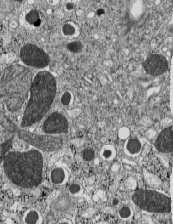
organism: C57BL Mouse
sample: Pancreatic islet